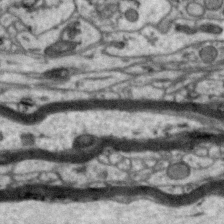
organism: Zebra finch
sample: Brain